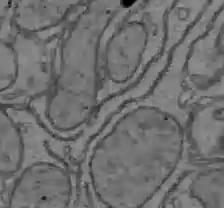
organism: C57BL Mouse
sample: Liver